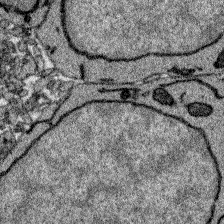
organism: Zebrafish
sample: Larval olfactory bulb